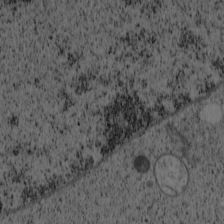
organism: African green monkey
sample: COS-7 cells